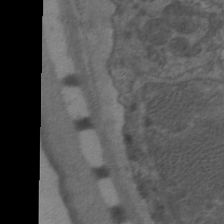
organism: C. elegans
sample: Pharynx